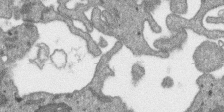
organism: Human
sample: Lung epithelial cells infected with SARS-CoV-2